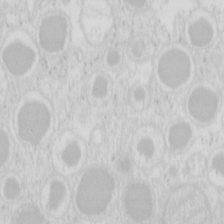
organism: Mouse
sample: Pancreas